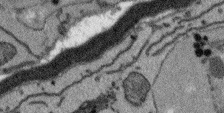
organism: Arabidopsis thaliana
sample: Root tip